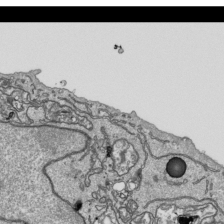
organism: Human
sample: Mitochondria in HCT116 cells